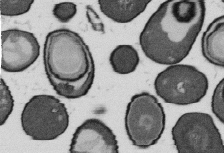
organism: B. subtilis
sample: Bacterial spore